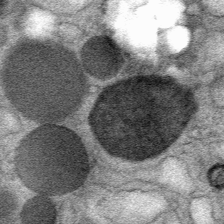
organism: Mouse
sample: Mouse Salivary gland